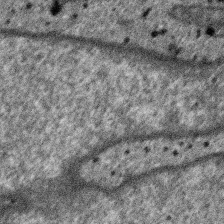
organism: Human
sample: Lung epithelial cells infected with SARS-CoV-2